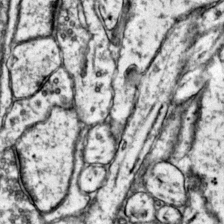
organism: Mouse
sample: Primary visual cortex